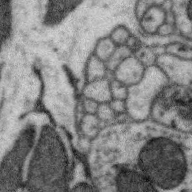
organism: Zebra finch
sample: Brain